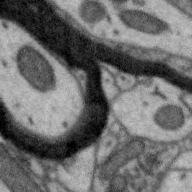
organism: Zebra finch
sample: Brain